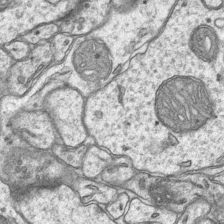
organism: Mouse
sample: CA1 Hippocampus